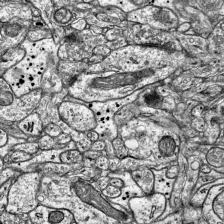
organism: Mouse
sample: Visual Cortex